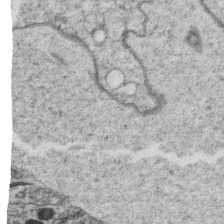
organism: C. elegans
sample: C. elegans oocyte; sperm cells